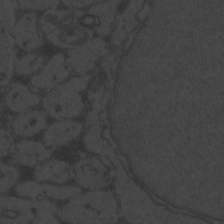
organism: Zebrafish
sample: Macrophage infected with Toxoplasma gondii